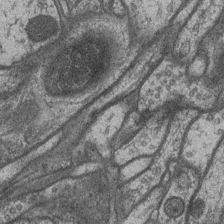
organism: Drosophila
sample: Optic medulla